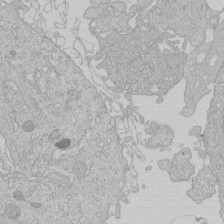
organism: Human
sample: Macrophage cells